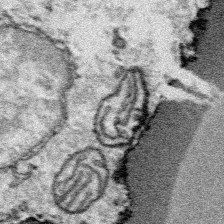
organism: Platynereis dumerilii